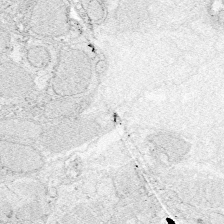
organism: Zebrafish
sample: Whole-Brain